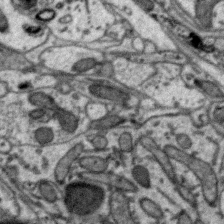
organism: Zebra finch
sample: Brain